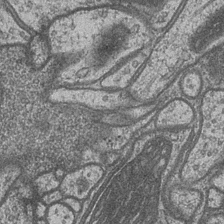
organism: Drosophila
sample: Optic medulla